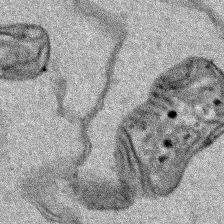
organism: Human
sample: Mitochondria in HCT116 cells